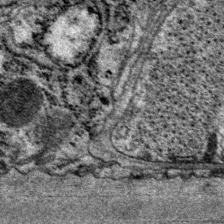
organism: P. pacificus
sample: Pharynx